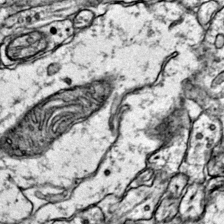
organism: Mouse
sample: Primary visual cortex